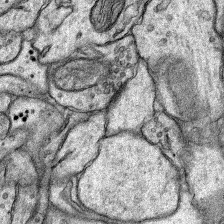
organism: Rat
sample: Hippocampus